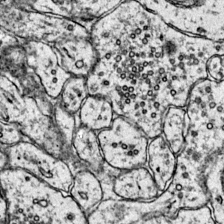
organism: Mouse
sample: Primary visual cortex